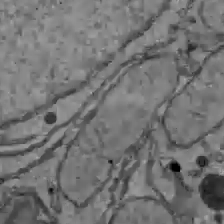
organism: C57BL Mouse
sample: Liver